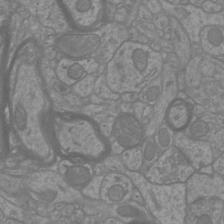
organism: Mouse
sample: Cortical neurons